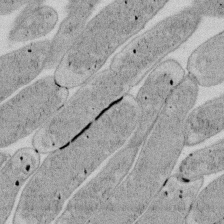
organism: E. coli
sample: Bacterial nucleoid